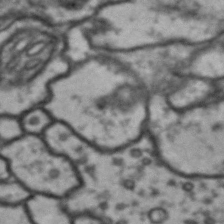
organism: Drosophila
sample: Brain